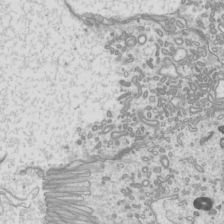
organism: Mouse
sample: Cilia; mouse epididymis